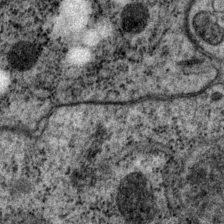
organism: P. pacificus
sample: Pharynx